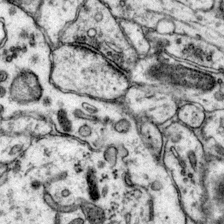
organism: Mouse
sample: Primary visual cortex